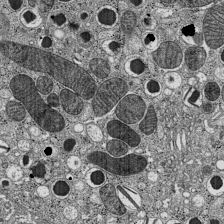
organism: C57BL Mouse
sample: Pancreatic islet